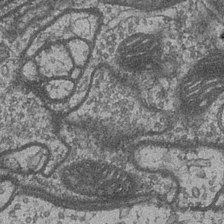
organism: Drosophila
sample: Optic medulla